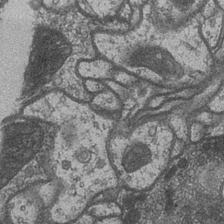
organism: Drosophila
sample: Optic medulla